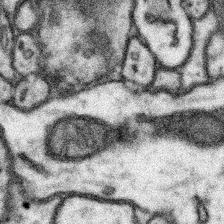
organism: Mouse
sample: Somatosensory cortex neuropil